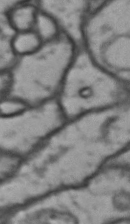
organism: Drosophila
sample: Brain